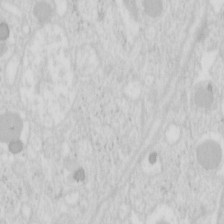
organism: Mouse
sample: Pancreas